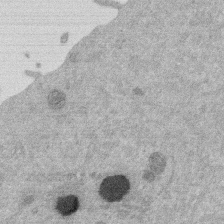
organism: Mouse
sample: Dividing mouse embryo 1 cell stage